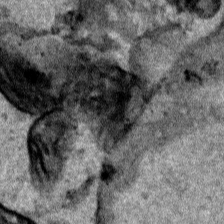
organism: Human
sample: Mitochondria in HCT116 cells